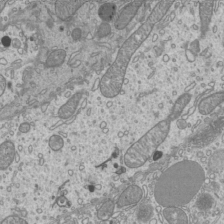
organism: Mouse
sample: Cilia; mouse epididymis